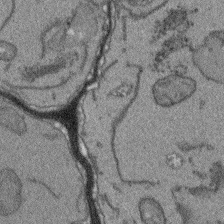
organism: Arabidopsis thaliana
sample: Root tip